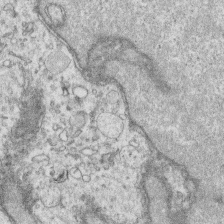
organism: Human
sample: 1205lu cells